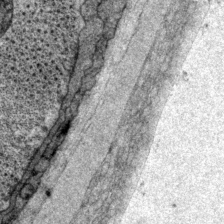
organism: P. pacificus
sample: Pharynx